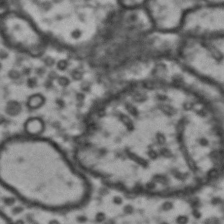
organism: Drosophila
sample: Brain